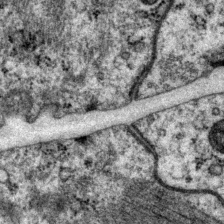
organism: P. pacificus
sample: Pharynx